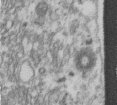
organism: Human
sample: Centriole in fibroblast cells